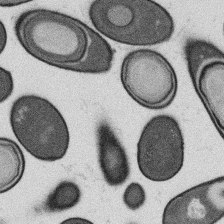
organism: B. subtilis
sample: Bacterial spore